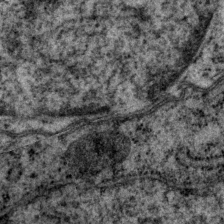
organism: P. pacificus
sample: Pharynx